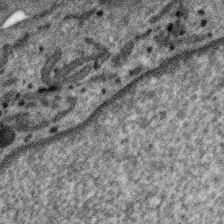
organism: Human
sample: Lung epithelial cells infected with SARS-CoV-2